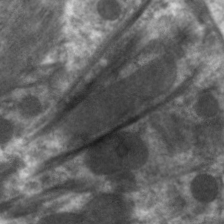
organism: C. elegans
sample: Pharynx